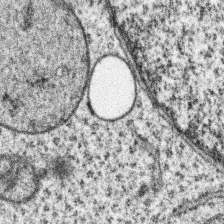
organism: Human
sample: HeLa cells